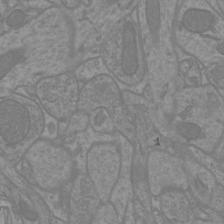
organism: Mouse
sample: Cortical neurons